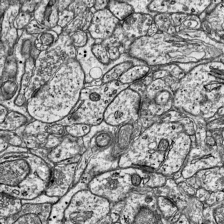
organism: Mouse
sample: Visual Cortex